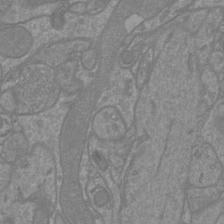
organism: Mouse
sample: Cortical neurons